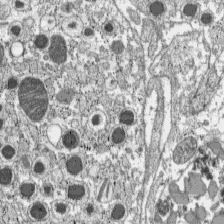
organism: C57BL Mouse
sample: Pancreatic islet